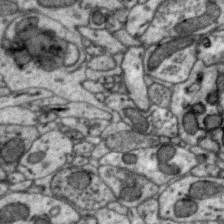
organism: Zebra finch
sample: Brain